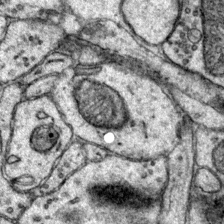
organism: Mouse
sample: Primary visual cortex